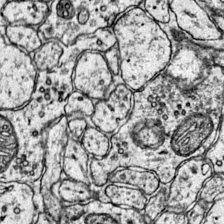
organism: Mouse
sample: Primary visual cortex